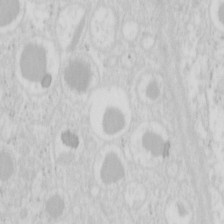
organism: Mouse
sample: Pancreas